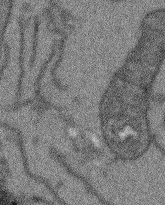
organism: Arabidopsis thaliana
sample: Root tip